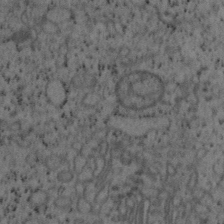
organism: Human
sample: HeLa cells